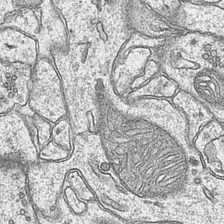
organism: Mouse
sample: CA1 Hippocampus